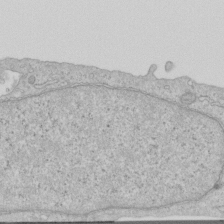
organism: Human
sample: Centriole in RPE cells